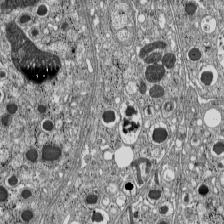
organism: C57BL Mouse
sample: Pancreatic islet